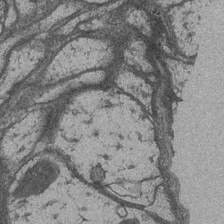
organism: Drosophila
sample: Optic medulla